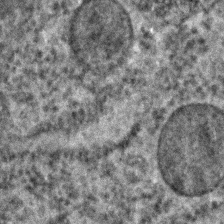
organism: C. elegans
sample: C. elegans embryo